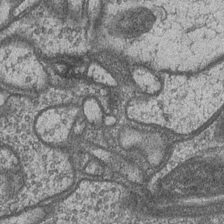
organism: Drosophila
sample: Optic medulla